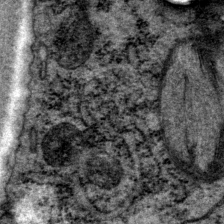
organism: P. pacificus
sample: Pharynx